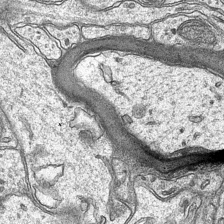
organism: Mouse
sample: CA1 Hippocampus